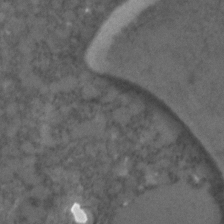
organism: C. elegans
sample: C. elegans embryo